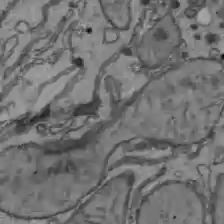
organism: C57BL Mouse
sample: Liver